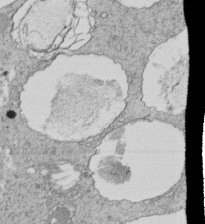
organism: Tetrahymena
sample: Cilia in tetrahymena